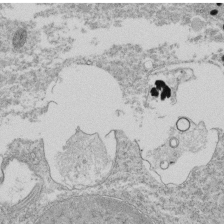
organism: Tetrahymena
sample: Cilia in tetrahymena